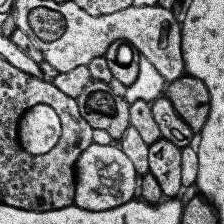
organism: Human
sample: Temporal Lobe